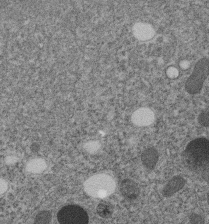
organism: C. elegans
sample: C. elegans embryo early stage